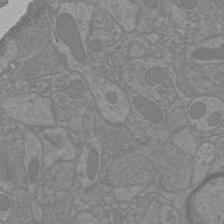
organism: Mouse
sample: Cortical neurons